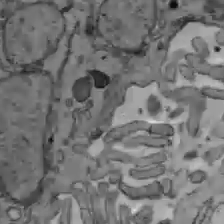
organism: C57BL Mouse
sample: Liver